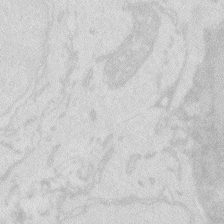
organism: Zebrafish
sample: Macrophage